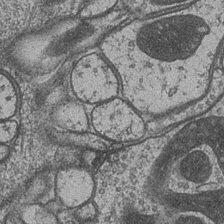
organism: Drosophila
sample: Optic medulla